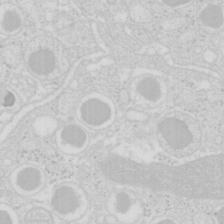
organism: Mouse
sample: Pancreas